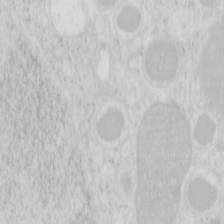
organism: Mouse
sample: Pancreas